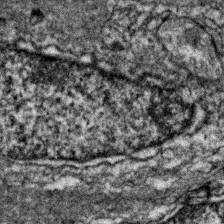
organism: Zebrafish